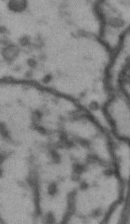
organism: Drosophila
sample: Brain